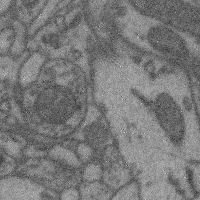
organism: Mouse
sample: Cerebral cortex